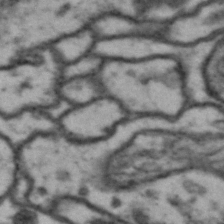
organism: Drosophila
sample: Brain